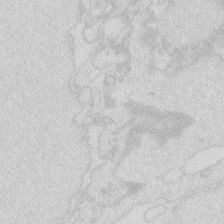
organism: Zebrafish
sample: Macrophage